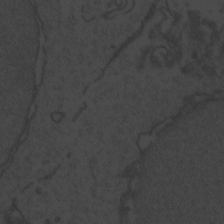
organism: Zebrafish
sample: Macrophage infected with Toxoplasma gondii